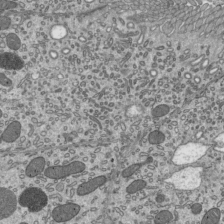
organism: Mouse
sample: Mouse epididymis efferent ductule cilia